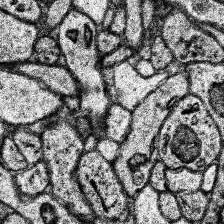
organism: Human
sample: Temporal Lobe